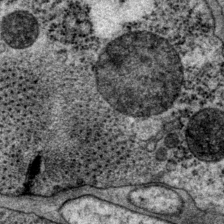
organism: P. pacificus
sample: Pharynx